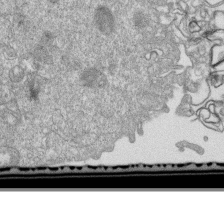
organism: Human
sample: HeLa cell HIV synapse